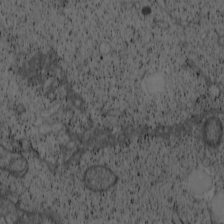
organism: African green monkey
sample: COS-7 cells